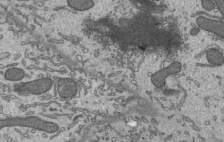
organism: Mouse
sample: Mouse epididymis efferent ductule cilia